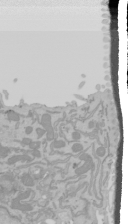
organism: Mouse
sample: Cancer cell death in ED-1 cells